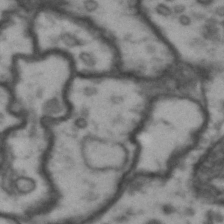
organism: Drosophila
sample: Brain